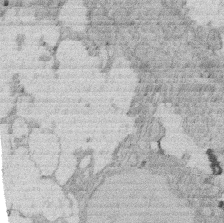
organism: Rat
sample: Salivary granule